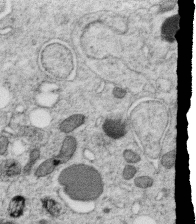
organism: C. elegans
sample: C. elegans oocyte; sperm cells